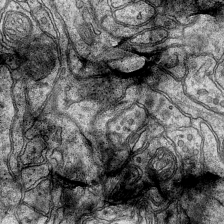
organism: Mouse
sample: CA1 Hippocampus